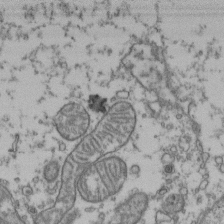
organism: Human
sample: Activated Jurkat CD4+ T cells